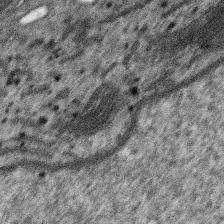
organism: Human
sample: Lung epithelial cells infected with SARS-CoV-2